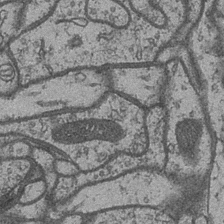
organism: Drosophila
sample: Optic medulla